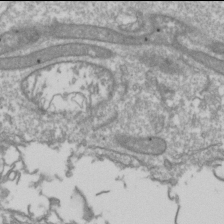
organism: Drosophila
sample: Cell division; meiosis; drosophila spermatocytes